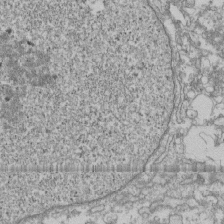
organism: Human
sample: Fibroblast cells